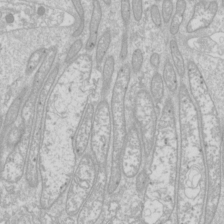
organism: Drosophila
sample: Cell division; meiosis; drosophila spermatocytes